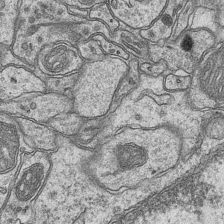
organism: Mouse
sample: CA1 Hippocampus